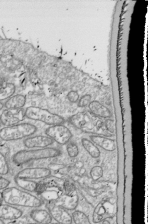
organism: Drosophila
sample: Cell division; meiosis; drosophila spermatocytes